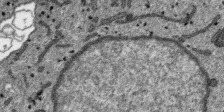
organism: Human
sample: Lung epithelial cells, uninfected (mock) control